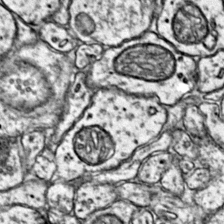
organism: Mouse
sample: Primary visual cortex